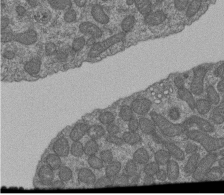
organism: Human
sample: Retinal organoid Rod and Cone cells